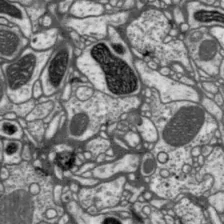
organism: Drosophila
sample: Protocerebral bridge